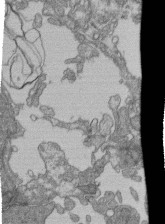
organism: Human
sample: Retinal organoid Rod and Cone cells